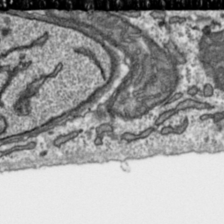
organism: Toxoplasma gondii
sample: Parasites in a vacuole inside a host cell